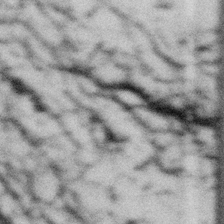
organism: Gemmata obscuriglobus